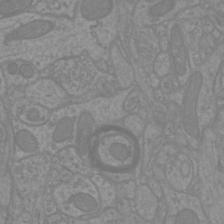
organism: Mouse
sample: Cortical neurons